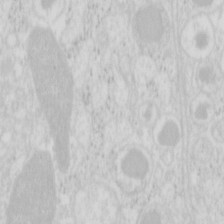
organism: Mouse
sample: Pancreas